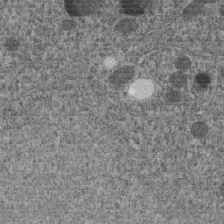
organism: C. elegans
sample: C. elegans embryo early stage